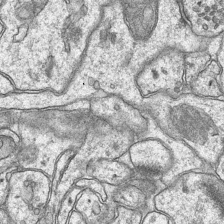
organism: Mouse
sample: CA1 Hippocampus